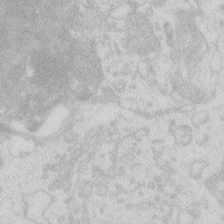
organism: Zebrafish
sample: Macrophage